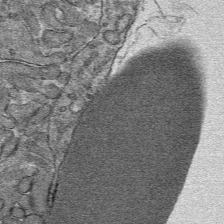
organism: Mouse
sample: Mouse hepatocytes